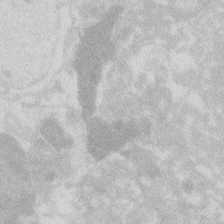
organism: Zebrafish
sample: Macrophage